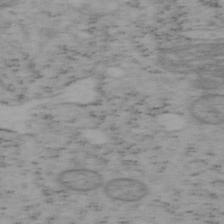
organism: Mouse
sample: OT-I killer T cells with ID8 ovarian cancer cells